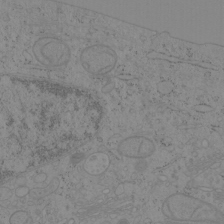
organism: Human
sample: HeLa cells